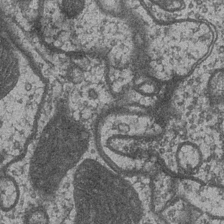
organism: Drosophila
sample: Optic medulla